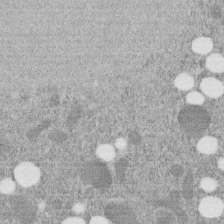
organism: C. elegans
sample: C. elegans embryo early stage